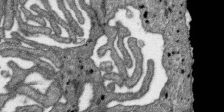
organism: Human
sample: Lung epithelial cells, uninfected (mock) control